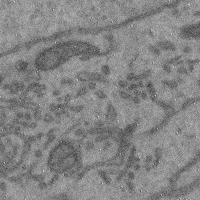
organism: Mouse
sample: Cerebral cortex